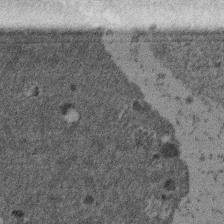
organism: Mouse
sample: Dividing mouse embryo 1 cell stage